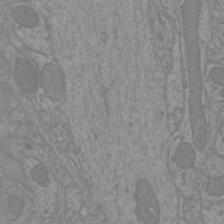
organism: Mouse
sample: Cortical neurons